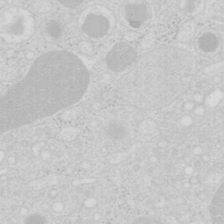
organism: Mouse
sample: Pancreas